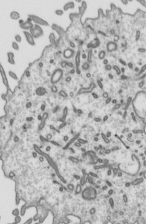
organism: Mouse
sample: Mouse epididymis efferent ductule cilia